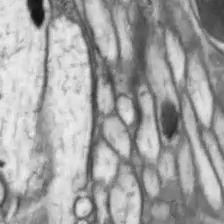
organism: Drosophila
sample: Optic lobe